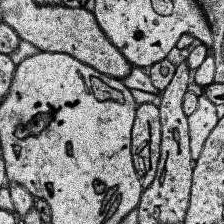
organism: Human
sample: Temporal Lobe